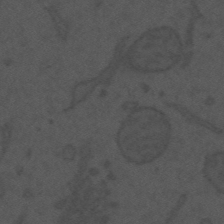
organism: Mouse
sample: Suprachiasmatic nucleus